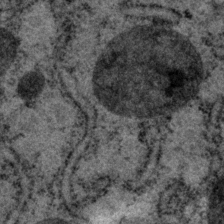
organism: P. pacificus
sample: Pharynx